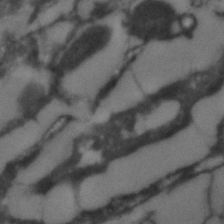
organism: C. elegans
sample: C. elegans embryo